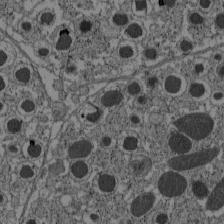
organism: C57BL Mouse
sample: Pancreatic islet